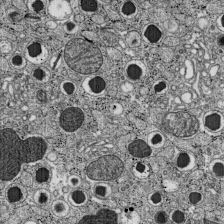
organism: C57BL Mouse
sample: Pancreatic islet